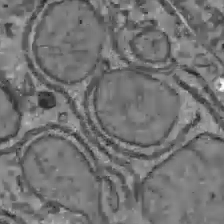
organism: C57BL Mouse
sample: Liver